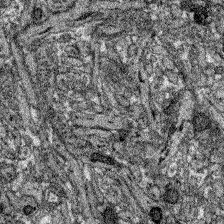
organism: Zebrafish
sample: Larval olfactory bulb